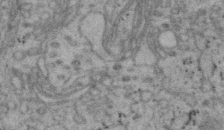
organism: Human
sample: HeLa cells